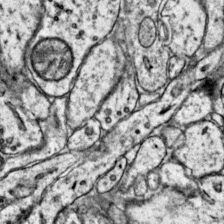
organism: Mouse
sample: Primary visual cortex